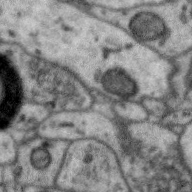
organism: Zebra finch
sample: Brain